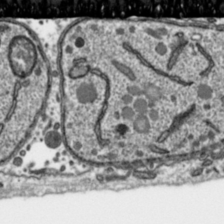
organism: Toxoplasma gondii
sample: Parasites in a vacuole inside a host cell